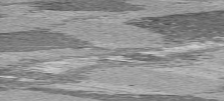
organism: C57BL Mouse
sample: Heart